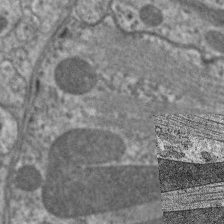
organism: C. elegans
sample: Pharynx